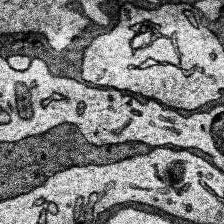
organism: Human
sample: Temporal Lobe